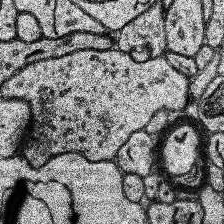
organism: Human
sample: Temporal Lobe